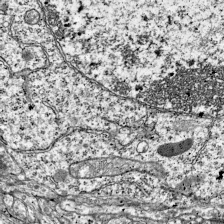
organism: Mouse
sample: Visual Cortex